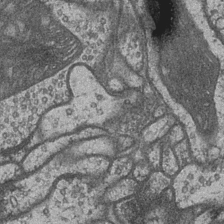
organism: Drosophila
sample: Optic medulla